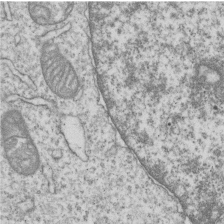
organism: Human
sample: MDA-MB-231 cells